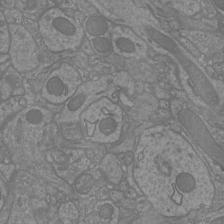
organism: Mouse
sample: Cortical neurons